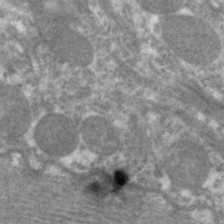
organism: C. elegans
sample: Pharynx